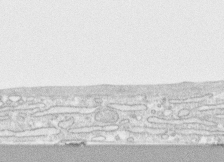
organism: Human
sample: CRL-1474